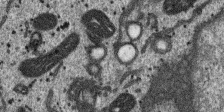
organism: Human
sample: Lung epithelial cells infected with SARS-CoV-2